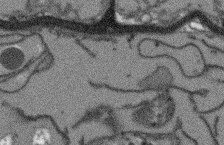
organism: Arabidopsis thaliana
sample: Root tip